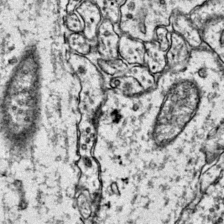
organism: Mouse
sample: Primary visual cortex